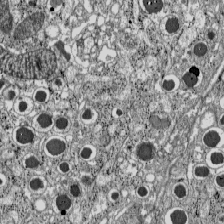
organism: C57BL Mouse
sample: Pancreatic islet